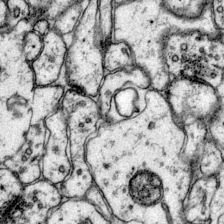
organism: Mouse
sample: Primary visual cortex